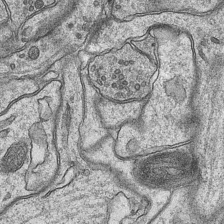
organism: Mouse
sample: CA1 Hippocampus